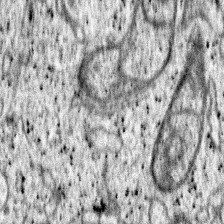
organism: Human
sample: HeLa cells